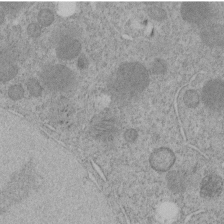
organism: C. elegans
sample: C. elegans embryo early stage